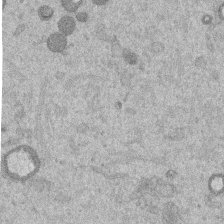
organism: Mouse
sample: Dividing mouse embryo 1 cell stage